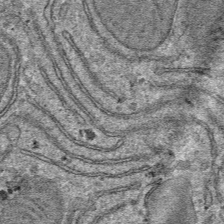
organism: Mouse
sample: Mouse hepatocytes